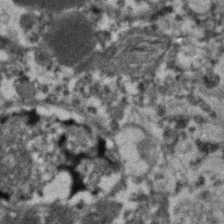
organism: Human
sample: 1205lu cells